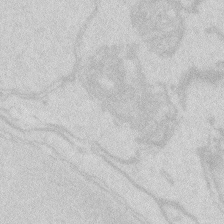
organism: Zebrafish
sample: Macrophage